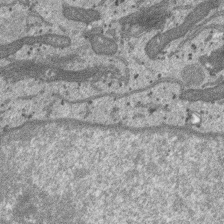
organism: Human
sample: Lung epithelial cells infected with SARS-CoV-2